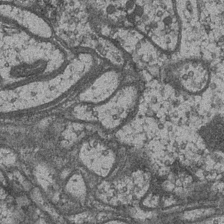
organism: Drosophila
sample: Optic medulla